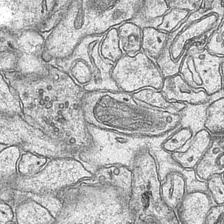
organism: Mouse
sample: CA1 Hippocampus